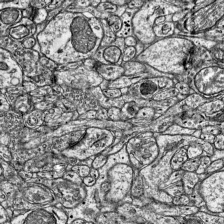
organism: Mouse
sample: Visual Cortex